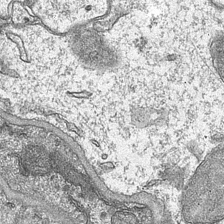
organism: Mouse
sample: CA1 Hippocampus